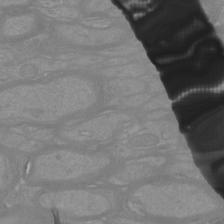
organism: Mouse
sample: Cortical neurons